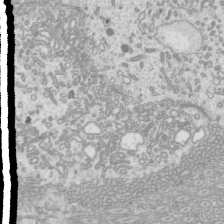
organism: Mouse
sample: Cilia; mouse epididymis